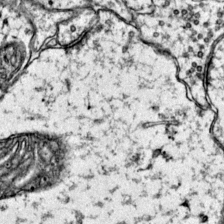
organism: Mouse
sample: Primary visual cortex